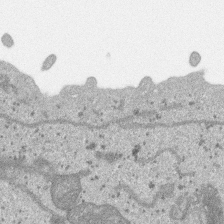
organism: Human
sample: Lung epithelial cells infected with SARS-CoV-2